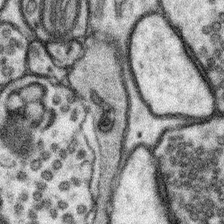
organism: Mouse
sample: Somatosensory cortex neuropil